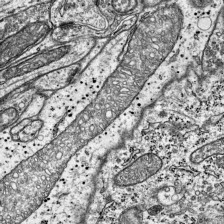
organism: Mouse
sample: Visual Cortex